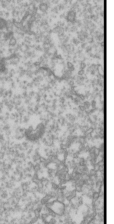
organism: Drosophila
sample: Cell division; meiosis; drosophila spermatocytes